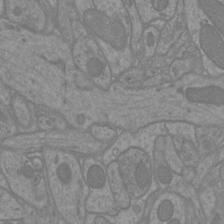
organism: Mouse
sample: Cortical neurons